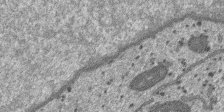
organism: Human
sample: Lung epithelial cells infected with SARS-CoV-2